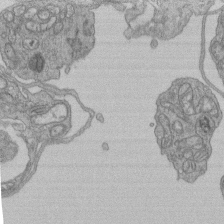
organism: Human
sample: Retinal organoid Rod and Cone cells